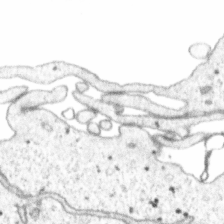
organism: Human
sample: HeLa cells